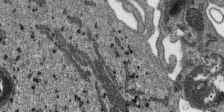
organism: Human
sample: Lung epithelial cells infected with SARS-CoV-2